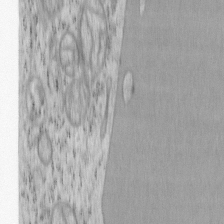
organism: Human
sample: HeLa cells